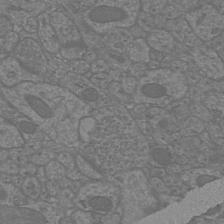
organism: Mouse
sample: Cortical neurons